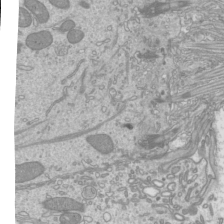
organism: Mouse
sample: Cilia; mouse epididymis